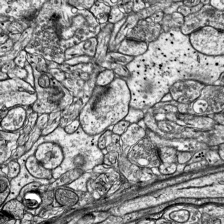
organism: Mouse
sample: Visual Cortex